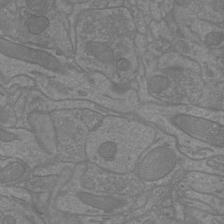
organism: Mouse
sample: Cortical neurons